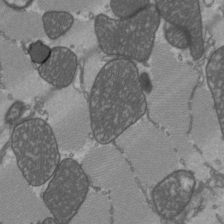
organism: C57BL Mouse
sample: Heart